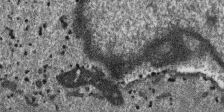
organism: Human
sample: Lung epithelial cells infected with SARS-CoV-2